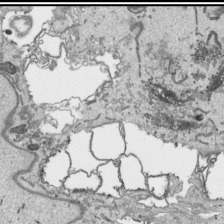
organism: Human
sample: Mitochondria in HCT116 cells